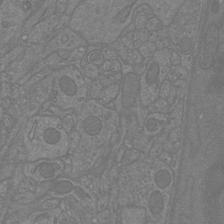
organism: Mouse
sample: Cortical neurons